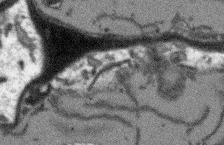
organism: Arabidopsis thaliana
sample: Root tip